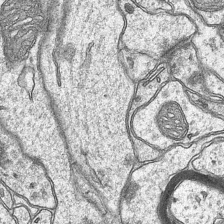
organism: Mouse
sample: CA1 Hippocampus